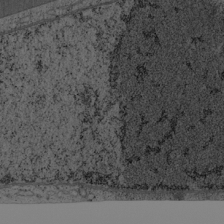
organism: African green monkey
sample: COS-7 cells